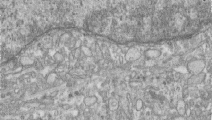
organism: Human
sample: Centriole in RPE cells